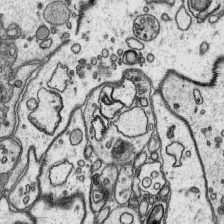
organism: Platynereis dumerilii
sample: Parapodia